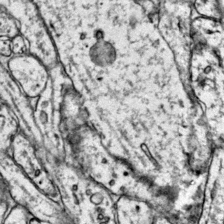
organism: Mouse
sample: Primary visual cortex